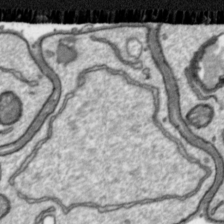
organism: Toxoplasma gondii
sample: Parasites in a vacuole inside a host cell